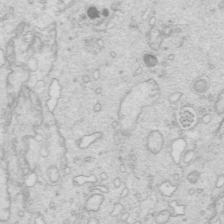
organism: Mouse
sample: Multiciliated cells